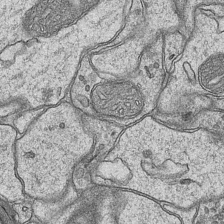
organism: Mouse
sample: CA1 Hippocampus